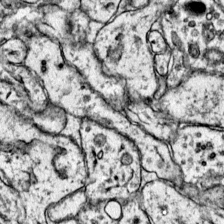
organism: Mouse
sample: Primary visual cortex